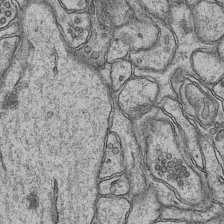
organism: Mouse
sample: CA1 Hippocampus